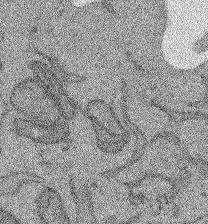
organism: Human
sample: HeLa cells